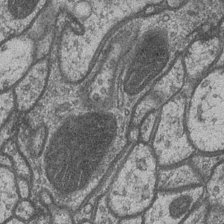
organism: Drosophila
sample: Optic medulla